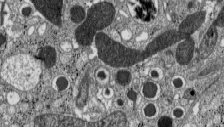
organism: C57BL Mouse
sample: Pancreatic islet